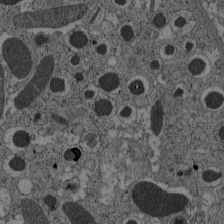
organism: C57BL Mouse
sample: Pancreatic islet